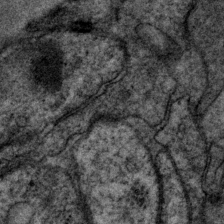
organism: P. pacificus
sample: Pharynx